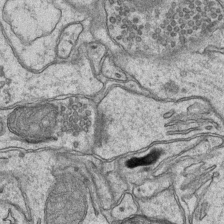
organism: Mouse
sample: CA1 Hippocampus